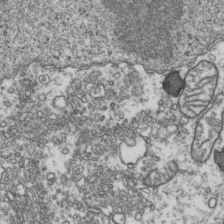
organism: Human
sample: Activated Jurkat CD4+ T cells